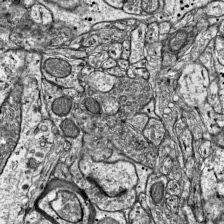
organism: Mouse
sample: Visual Cortex